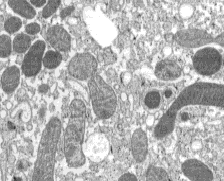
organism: C57BL Mouse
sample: Pancreatic islet